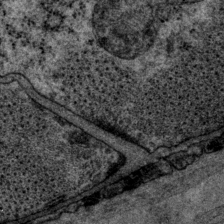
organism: P. pacificus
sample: Pharynx